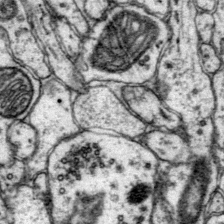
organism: Mouse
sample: Primary visual cortex